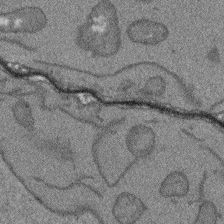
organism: Arabidopsis thaliana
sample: Root tip